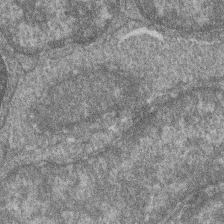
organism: Zebrafish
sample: Cilia; retinal pigment epithelium